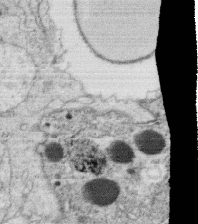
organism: C. elegans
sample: C. elegans oocyte; sperm cells